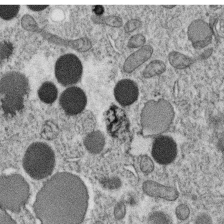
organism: C. elegans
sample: C. elegans oocyte; sperm cells